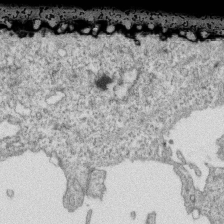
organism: Human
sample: HeLa cell HIV synapse